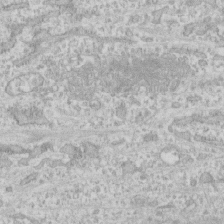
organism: Human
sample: CRL-1474